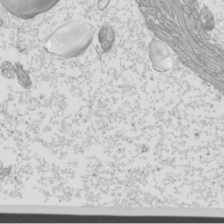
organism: Mouse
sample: Cilia; mouse epididymis